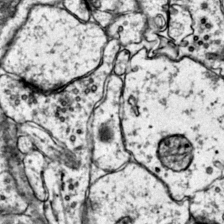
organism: Mouse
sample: Primary visual cortex